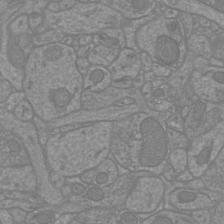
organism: Mouse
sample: Cortical neurons